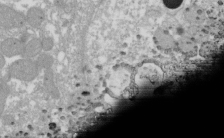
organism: Xenopus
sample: Cilia; centrioles in frog embryo cells